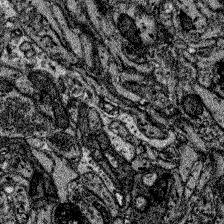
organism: Zebrafish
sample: Larval olfactory bulb